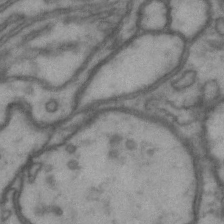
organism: Drosophila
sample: Brain